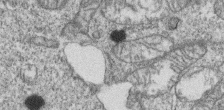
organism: Human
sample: HeLa cell HIV synapse